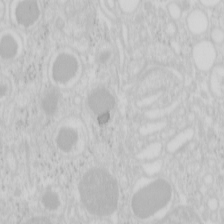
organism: Mouse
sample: Pancreas